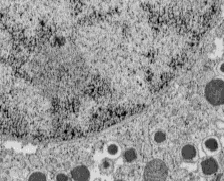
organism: C57BL Mouse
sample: Pancreatic islet